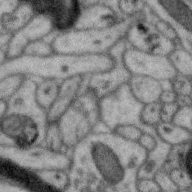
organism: Zebra finch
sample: Brain